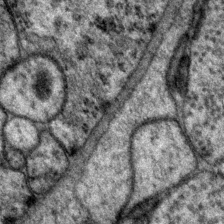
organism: P. pacificus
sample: Pharynx